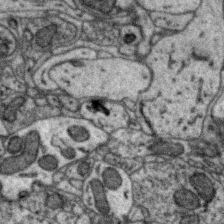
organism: Zebra finch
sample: Brain